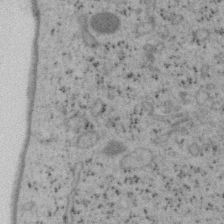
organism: Human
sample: HeLa cells